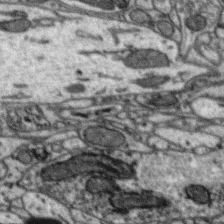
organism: Zebra finch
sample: Brain